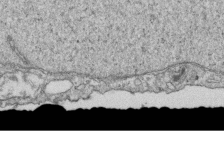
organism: Human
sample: HeLa cell HIV synapse